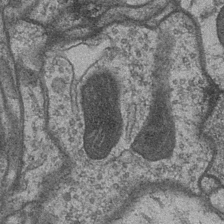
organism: Drosophila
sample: Optic medulla